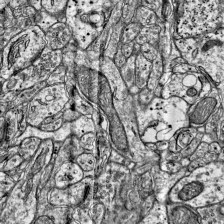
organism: Mouse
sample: Visual Cortex